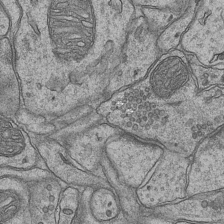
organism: Mouse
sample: CA1 Hippocampus